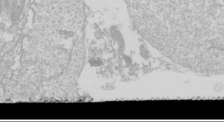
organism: Drosophila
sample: Cell division; meiosis; drosophila spermatocytes